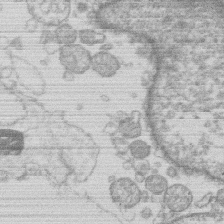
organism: Human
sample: Macrophage cells